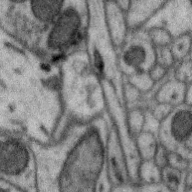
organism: Zebra finch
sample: Brain